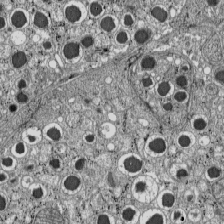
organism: C57BL Mouse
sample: Pancreatic islet